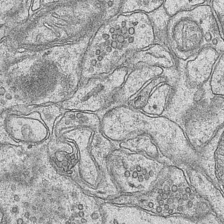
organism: Mouse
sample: CA1 Hippocampus